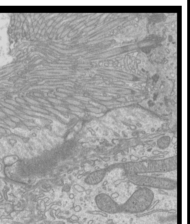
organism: Mouse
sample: Cilia; mouse epididymis